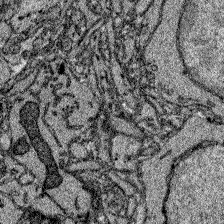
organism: Zebrafish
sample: Larval olfactory bulb